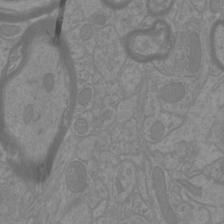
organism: Mouse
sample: Cortical neurons